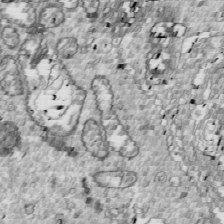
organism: Drosophila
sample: Cell division; meiosis; drosophila spermatocytes